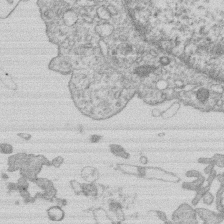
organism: Human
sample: Macrophage cells